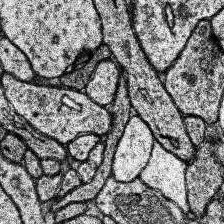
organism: Human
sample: Temporal Lobe